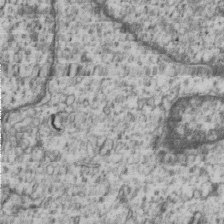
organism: Human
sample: MDA-MB-231 cells